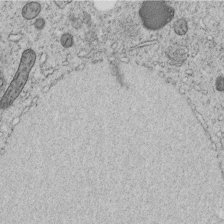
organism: C. elegans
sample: C. elegans embryo early stage